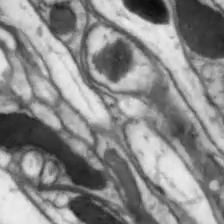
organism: Drosophila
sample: Optic lobe